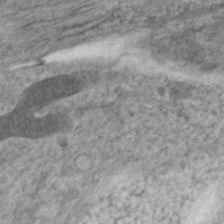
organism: Zebrafish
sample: Zebrafish embryo